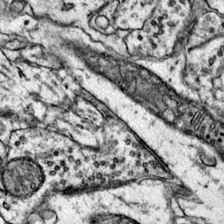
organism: Mouse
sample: Primary visual cortex